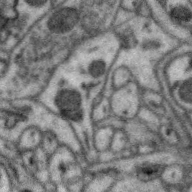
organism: Zebra finch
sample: Brain